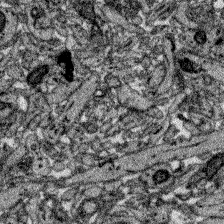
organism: Zebrafish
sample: Larval olfactory bulb